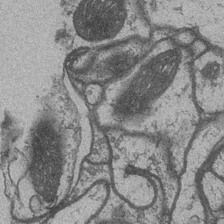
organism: Drosophila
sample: Optic medulla